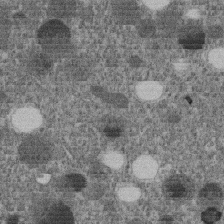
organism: C. elegans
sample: C. elegans embryo early stage